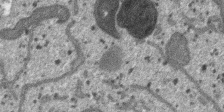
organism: Human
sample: Lung epithelial cells infected with SARS-CoV-2